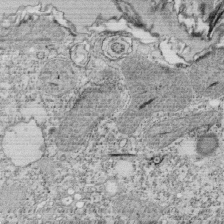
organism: Tetrahymena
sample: Cilia in tetrahymena